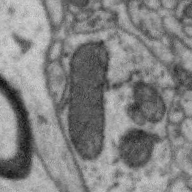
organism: Zebra finch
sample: Brain